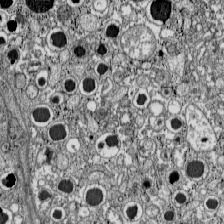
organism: C57BL Mouse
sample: Pancreatic islet